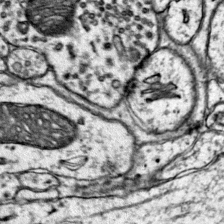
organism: Mouse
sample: Primary visual cortex